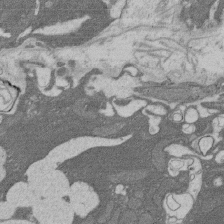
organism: Rat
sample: Salivary granule